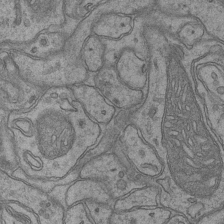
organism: Mouse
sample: CA1 Hippocampus